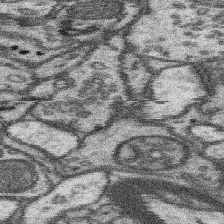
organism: Mouse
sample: Somatosensory cortex neuropil